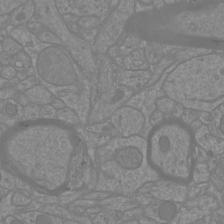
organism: Mouse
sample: Cortical neurons